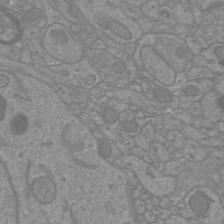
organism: Mouse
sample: Cortical neurons